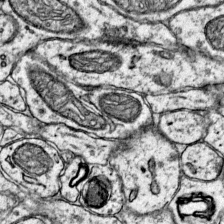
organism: Mouse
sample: Primary visual cortex